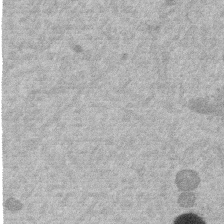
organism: Mouse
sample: Dividing mouse embryo 1 cell stage